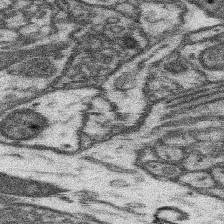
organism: Mouse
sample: Somatosensory cortex neuropil